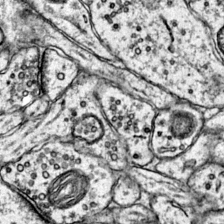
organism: Mouse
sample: Primary visual cortex